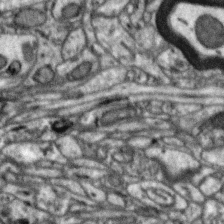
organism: Zebra finch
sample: Brain